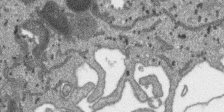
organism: Human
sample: Lung epithelial cells infected with SARS-CoV-2